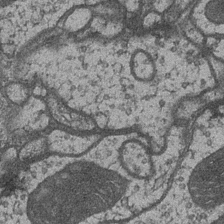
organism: Drosophila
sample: Optic medulla